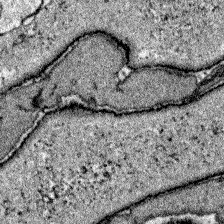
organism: Zebrafish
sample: Larval olfactory bulb